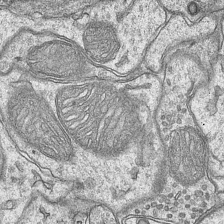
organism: Mouse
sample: CA1 Hippocampus